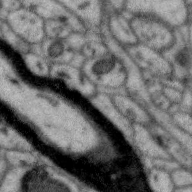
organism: Zebra finch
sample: Brain